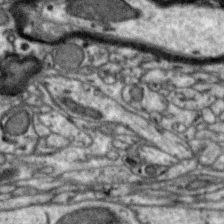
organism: Zebra finch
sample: Brain